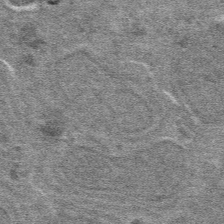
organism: Mouse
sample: Mouse hepatocytes